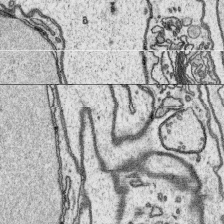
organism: Platynereis dumerilii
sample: Parapodia